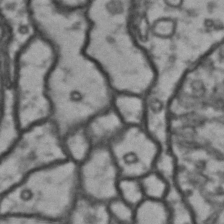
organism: Drosophila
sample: Brain